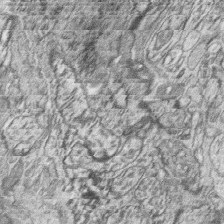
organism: Zebrafish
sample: synaptic ribbons in rod cells and cone cells